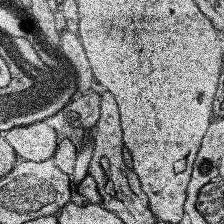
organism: Human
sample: Temporal Lobe